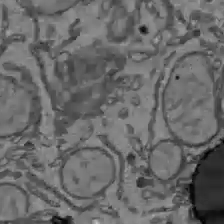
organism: C57BL Mouse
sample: Liver